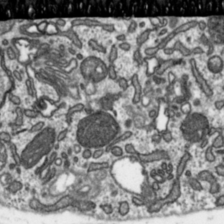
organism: Toxoplasma gondii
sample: Parasites in a vacuole inside a host cell